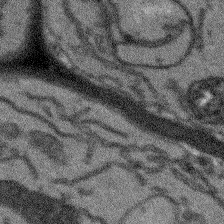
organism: Arabidopsis thaliana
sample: Root tip